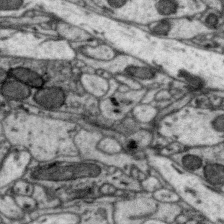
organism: Zebra finch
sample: Brain